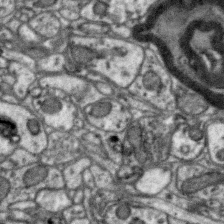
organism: Zebra finch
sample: Brain